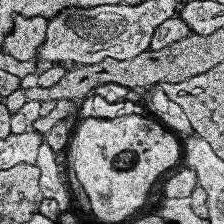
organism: Human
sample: Temporal Lobe